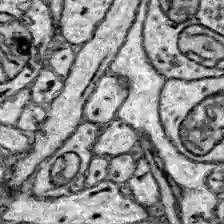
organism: Zebrafish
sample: Brain